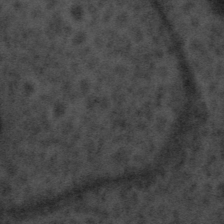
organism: Tuwongella immobilis